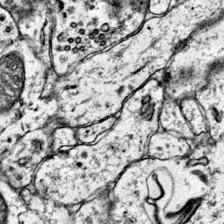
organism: Mouse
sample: Primary visual cortex